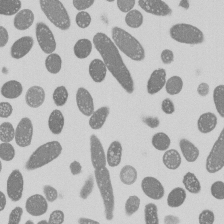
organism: E. coli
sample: Bacterial nucleoid